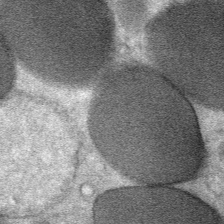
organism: Mouse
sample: Mouse Salivary gland